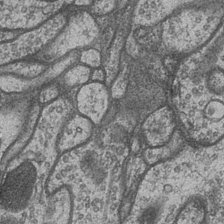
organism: Drosophila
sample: Optic medulla